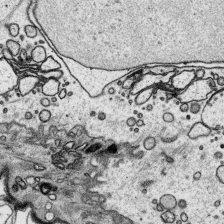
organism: Platynereis dumerilii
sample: Parapodia